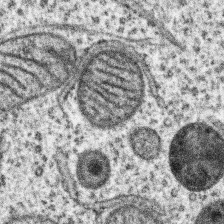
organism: Human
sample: HeLa cells